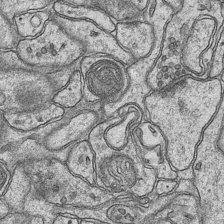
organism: Mouse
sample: CA1 Hippocampus